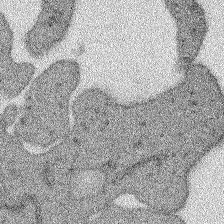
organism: Human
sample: HeLa cells